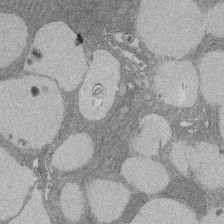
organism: Rat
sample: Salivary granule